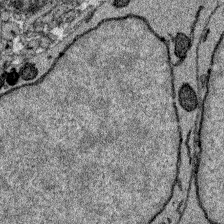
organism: Zebrafish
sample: Larval olfactory bulb